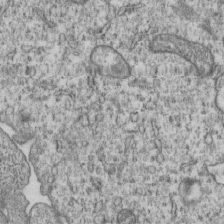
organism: Human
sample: MDA-MB-231 cells